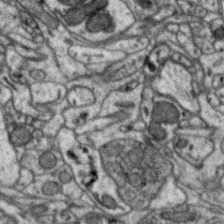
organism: Zebra finch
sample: Brain